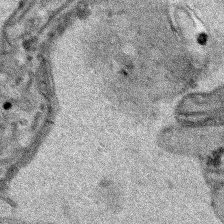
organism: Human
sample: Mitochondria in HCT116 cells